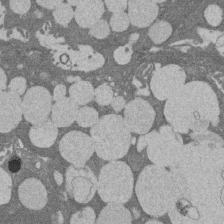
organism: Rat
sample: Salivary granule